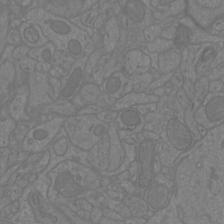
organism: Mouse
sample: Cortical neurons